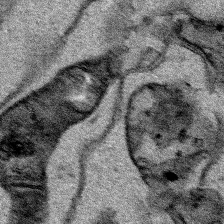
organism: Human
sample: Mitochondria in HCT116 cells